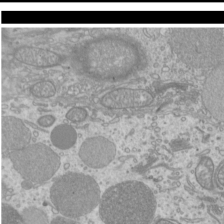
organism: Mouse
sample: Cilia; mouse epididymis